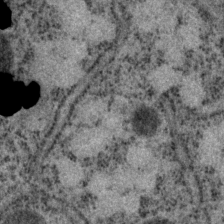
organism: P. pacificus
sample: Pharynx